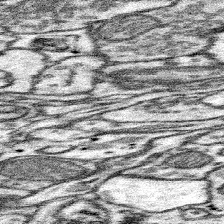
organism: Mouse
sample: Somatosensory cortex neuropil